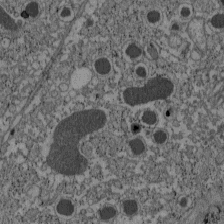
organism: C57BL Mouse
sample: Pancreatic islet